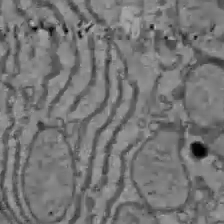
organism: C57BL Mouse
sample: Liver